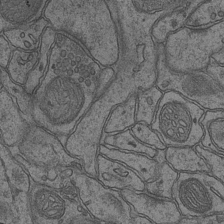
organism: Mouse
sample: CA1 Hippocampus